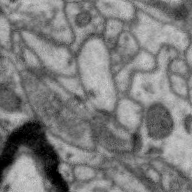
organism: Zebra finch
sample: Brain